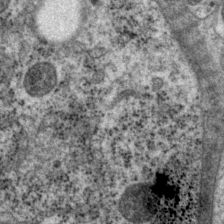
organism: P. pacificus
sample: Pharynx